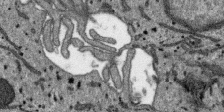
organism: Human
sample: Lung epithelial cells, uninfected (mock) control